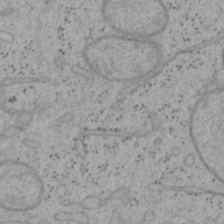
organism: Human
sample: HeLa cells